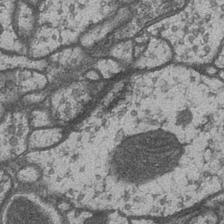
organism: Drosophila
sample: Optic medulla